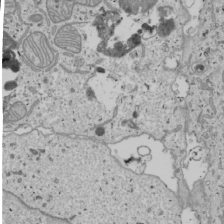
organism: Human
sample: Mitochondria in U2OS cells